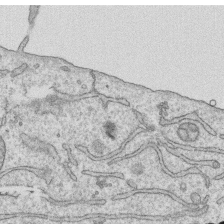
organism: Human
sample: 1205lu cells